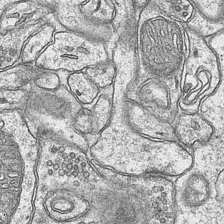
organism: Mouse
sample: CA1 Hippocampus